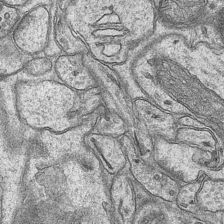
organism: Mouse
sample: CA1 Hippocampus